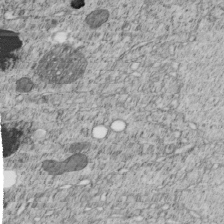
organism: C. elegans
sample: C. elegans embryo early stage